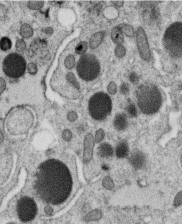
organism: C. elegans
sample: C. elegans oocyte; sperm cells